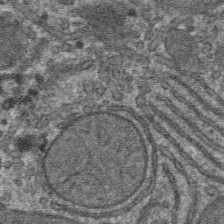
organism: Mouse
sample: Mouse hepatocytes